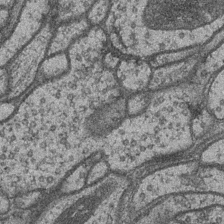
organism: Drosophila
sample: Optic medulla